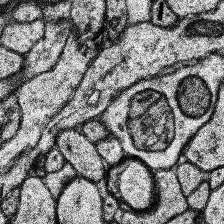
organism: Human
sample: Temporal Lobe